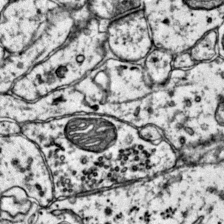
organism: Mouse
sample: Primary visual cortex